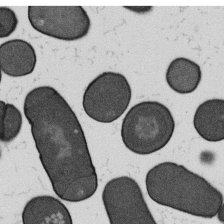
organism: B. subtilis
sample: Bacterial spore